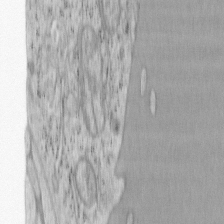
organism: Human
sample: HeLa cells